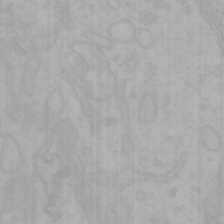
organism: Mouse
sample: Choroid plexus